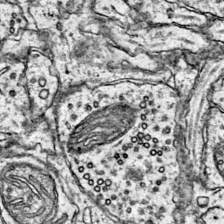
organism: Mouse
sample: Primary visual cortex